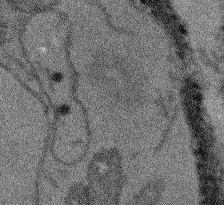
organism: Arabidopsis thaliana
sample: Root tip